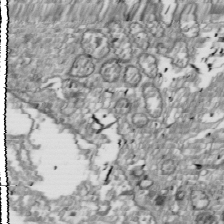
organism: Drosophila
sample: Cell division; meiosis; drosophila spermatocytes